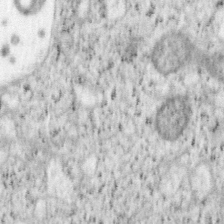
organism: Mouse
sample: OT-I killer T cells with ID8 ovarian cancer cells